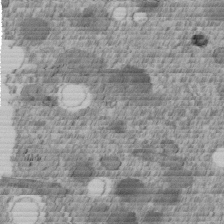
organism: C. elegans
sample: C. elegans embryo early stage